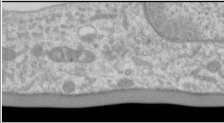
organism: Human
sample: Cilia; basal body in RPE cells